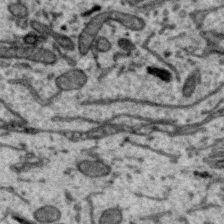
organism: Zebra finch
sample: Brain